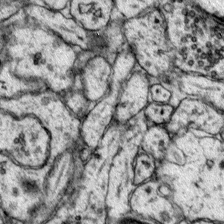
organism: Mouse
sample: Primary visual cortex